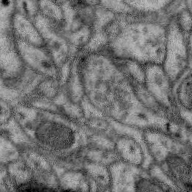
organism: Zebra finch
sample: Brain